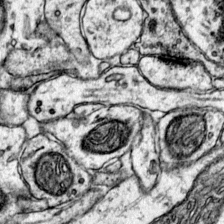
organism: Mouse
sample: Primary visual cortex